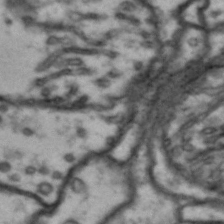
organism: Drosophila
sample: Brain